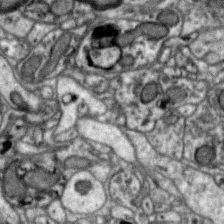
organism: Zebra finch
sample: Brain